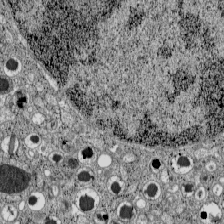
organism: C57BL Mouse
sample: Pancreatic islet